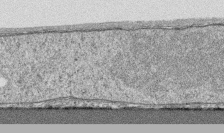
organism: Human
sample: CRL-1474